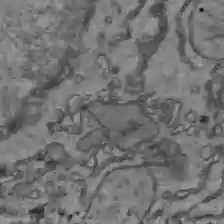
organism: C57BL Mouse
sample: Liver